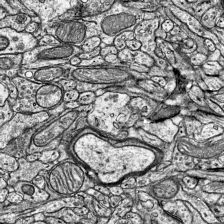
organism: Mouse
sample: Visual Cortex